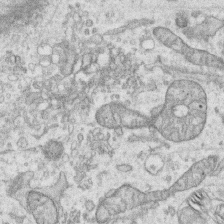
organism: Human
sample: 1205lu cells